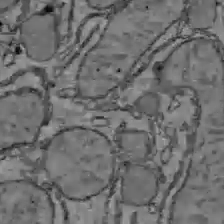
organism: C57BL Mouse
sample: Liver